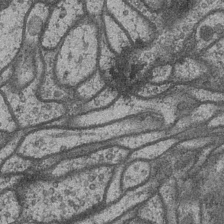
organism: Drosophila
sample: Optic medulla